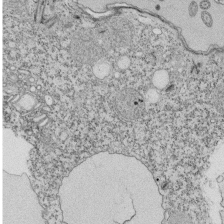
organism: Tetrahymena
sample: Cilia in tetrahymena